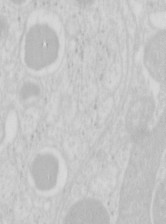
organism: Mouse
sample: Pancreas